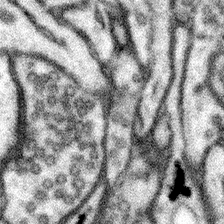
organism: Mouse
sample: Somatosensory cortex neuropil